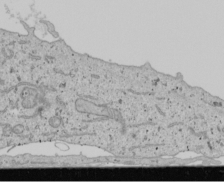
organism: Human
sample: Mitochondria in U2OS cells